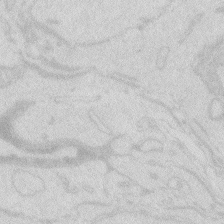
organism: Zebrafish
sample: Macrophage